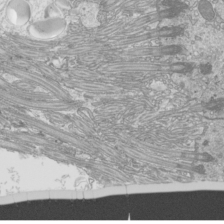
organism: Mouse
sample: Cilia; mouse epididymis